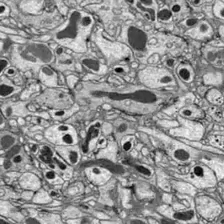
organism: Drosophila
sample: Optic lobe